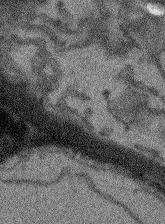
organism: Arabidopsis thaliana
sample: Root tip